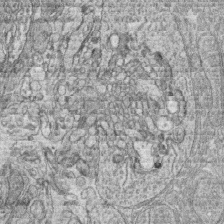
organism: Zebrafish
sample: synaptic ribbons in rod cells and cone cells